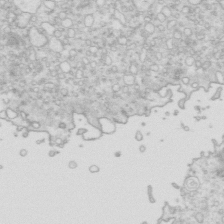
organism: Mouse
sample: Multiciliated cells